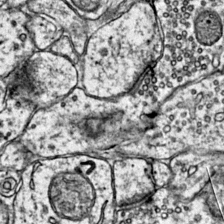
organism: Mouse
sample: Primary visual cortex